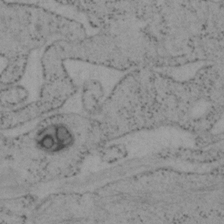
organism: Mouse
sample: OT-I killer T cells with ID8 ovarian cancer cells